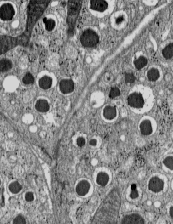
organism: C57BL Mouse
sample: Pancreatic islet